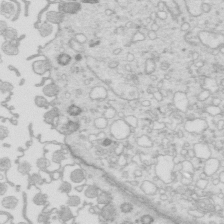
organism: Mouse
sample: Multiciliated cells